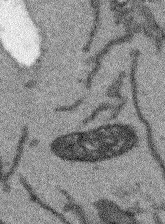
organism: Arabidopsis thaliana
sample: Root tip